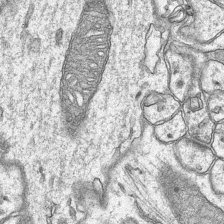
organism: Mouse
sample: CA1 Hippocampus